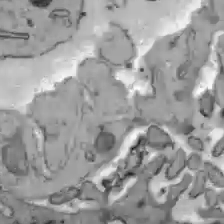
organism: C57BL Mouse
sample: Liver